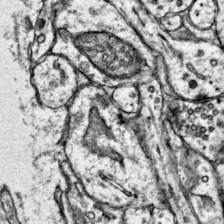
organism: Mouse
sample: Primary visual cortex